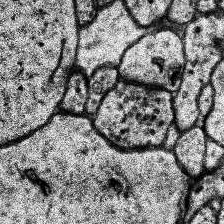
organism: Human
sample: Temporal Lobe